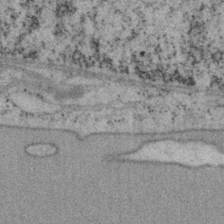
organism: Human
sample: HeLa cells